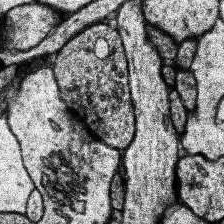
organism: Human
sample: Temporal Lobe